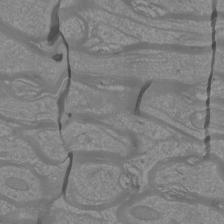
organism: Mouse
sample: Cortical neurons